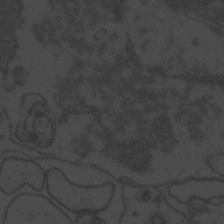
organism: Zebrafish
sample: Macrophage infected with Toxoplasma gondii